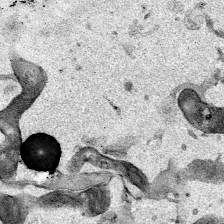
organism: Mouse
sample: Cancer cell death in ED-1 cells